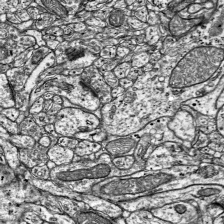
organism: Mouse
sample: Visual Cortex